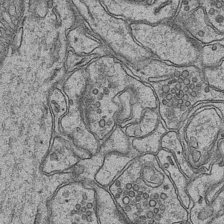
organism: Mouse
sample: CA1 Hippocampus